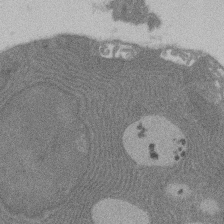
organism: Rat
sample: Salivary granule